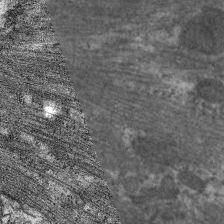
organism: C. elegans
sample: Pharynx